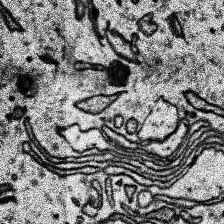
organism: Human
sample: Temporal Lobe